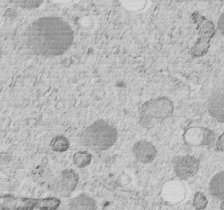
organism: C. elegans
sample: C. elegans embryo early stage